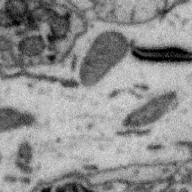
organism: Zebra finch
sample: Brain